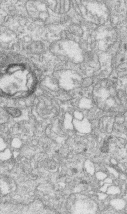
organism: Human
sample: HeLa cell HIV synapse